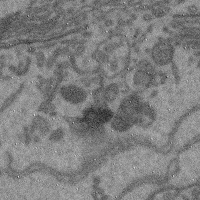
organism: Mouse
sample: Cerebral cortex